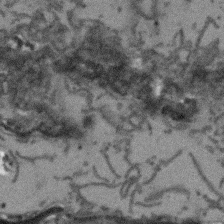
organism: Arabidopsis thaliana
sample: Root tip